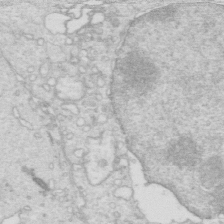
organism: Mouse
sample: Multiciliated cells